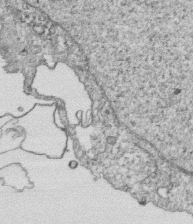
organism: Human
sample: HeLa cell HIV synapse